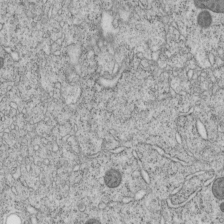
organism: C. elegans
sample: C. elegans embryo early stage